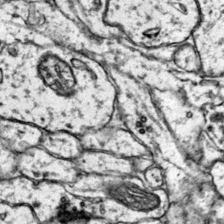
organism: Mouse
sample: Primary visual cortex